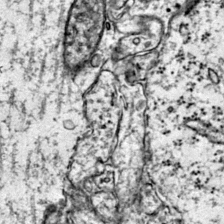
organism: Mouse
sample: Primary visual cortex